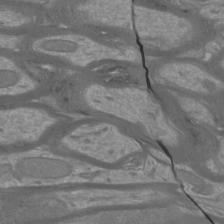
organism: Mouse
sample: Cortical neurons